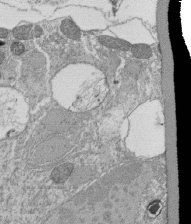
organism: Tetrahymena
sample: Cilia in tetrahymena